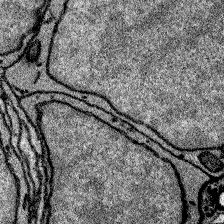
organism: Zebrafish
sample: Larval olfactory bulb